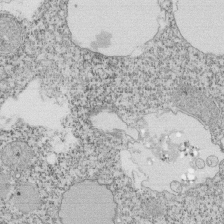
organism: Tetrahymena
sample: Cilia in tetrahymena